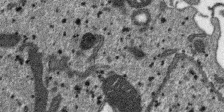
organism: Human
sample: Lung epithelial cells infected with SARS-CoV-2